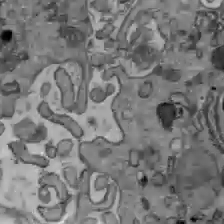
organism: C57BL Mouse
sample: Liver